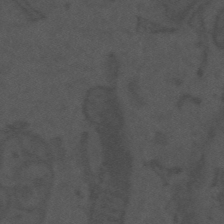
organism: Mouse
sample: Suprachiasmatic nucleus